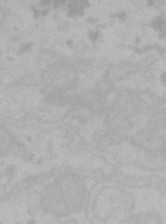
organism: Mouse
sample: Choroid plexus